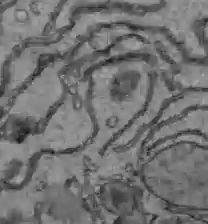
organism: C57BL Mouse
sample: Liver